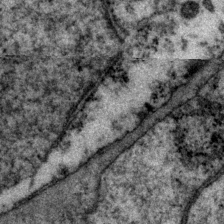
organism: P. pacificus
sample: Pharynx